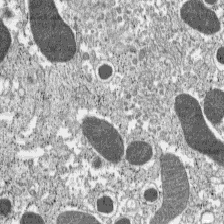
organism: C57BL Mouse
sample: Pancreatic islet